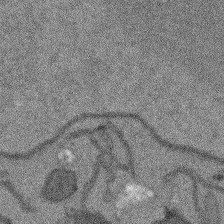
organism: Arabidopsis thaliana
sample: Root tip